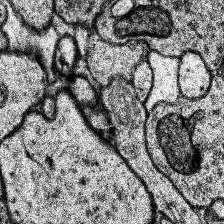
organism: Human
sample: Temporal Lobe